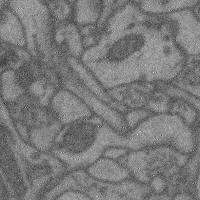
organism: Mouse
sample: Cerebral cortex